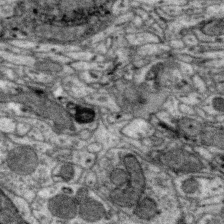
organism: Zebra finch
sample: Brain